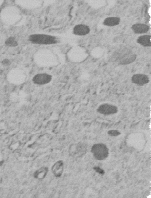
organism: C. elegans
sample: C. elegans embryo early stage